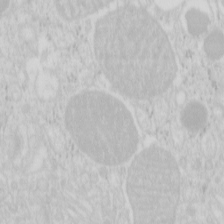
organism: Mouse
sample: Pancreas